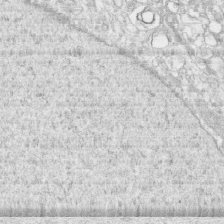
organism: Human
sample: CRL-1474